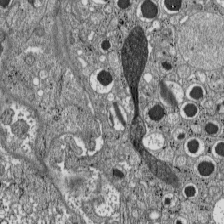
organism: C57BL Mouse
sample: Pancreatic islet